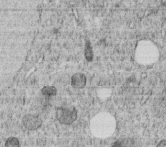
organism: C. elegans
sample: C. elegans embryo early stage